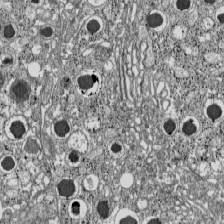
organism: C57BL Mouse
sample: Pancreatic islet